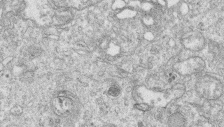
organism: Human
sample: HeLa cell HIV synapse